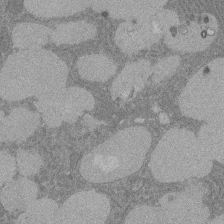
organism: Rat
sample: Salivary granule